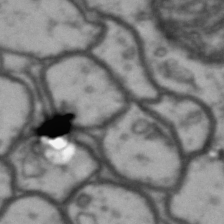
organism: Drosophila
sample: Brain